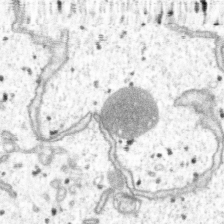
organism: Human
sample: HeLa cells